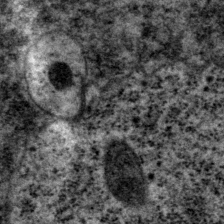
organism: P. pacificus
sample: Pharynx